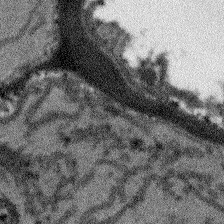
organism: Arabidopsis thaliana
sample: Root tip